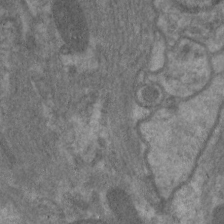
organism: C. elegans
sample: Pharynx